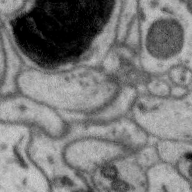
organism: Zebra finch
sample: Brain